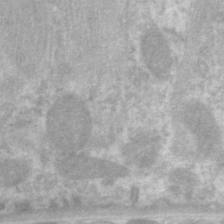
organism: C. elegans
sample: Pharynx